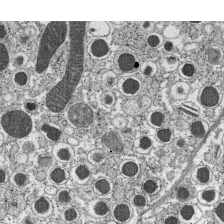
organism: C57BL Mouse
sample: Pancreatic islet